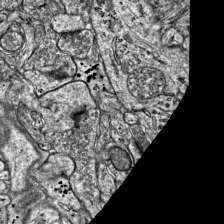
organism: Mouse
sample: Visual Cortex